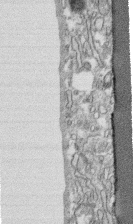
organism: Human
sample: CRL-1474